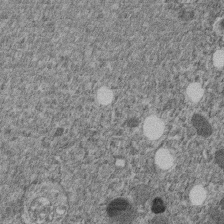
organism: C. elegans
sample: C. elegans embryo early stage